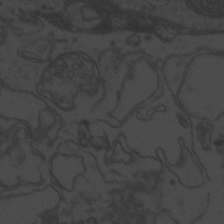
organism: Zebrafish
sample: Macrophage infected with Toxoplasma gondii